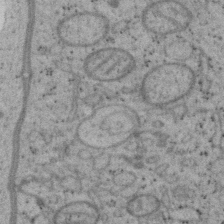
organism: Human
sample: HeLa cells